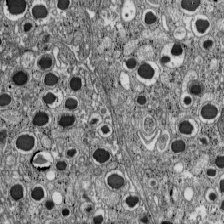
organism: C57BL Mouse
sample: Pancreatic islet